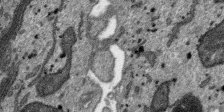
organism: Human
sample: Lung epithelial cells, uninfected (mock) control